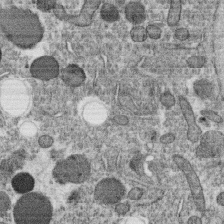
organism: C. elegans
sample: C. elegans oocyte; sperm cells